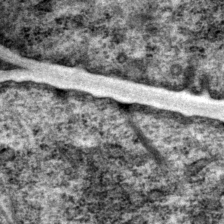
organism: P. pacificus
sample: Pharynx